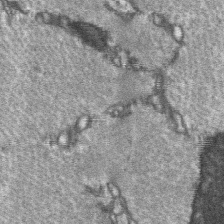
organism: C57BL Mouse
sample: Soleus